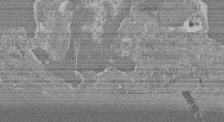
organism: Mouse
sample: Glomerulus